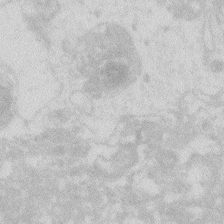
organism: Zebrafish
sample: Macrophage